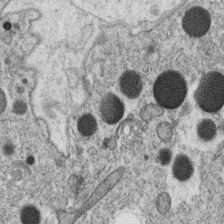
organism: C. elegans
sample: C. elegans oocyte; sperm cells